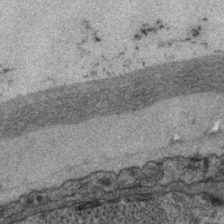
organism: P. pacificus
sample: Pharynx